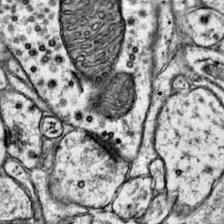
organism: Mouse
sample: Primary visual cortex